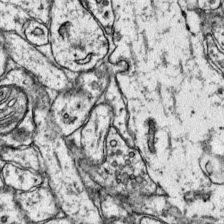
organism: Mouse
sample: Primary visual cortex